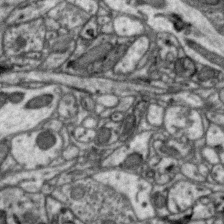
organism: Zebra finch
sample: Brain